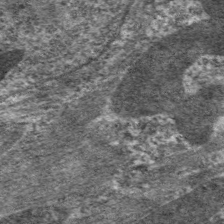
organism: C. elegans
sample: Pharynx